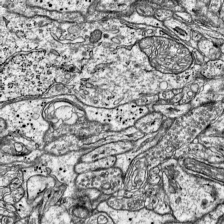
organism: Mouse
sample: Visual Cortex